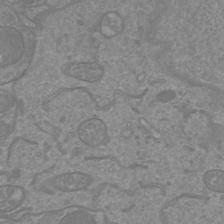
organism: Mouse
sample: Cortical neurons